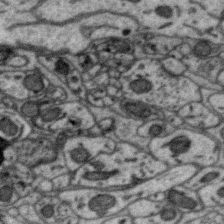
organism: Zebra finch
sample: Brain